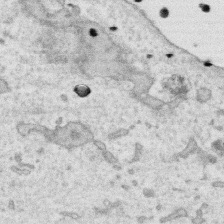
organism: Human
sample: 1205lu cells